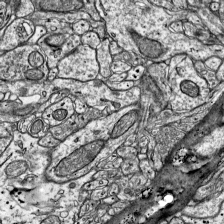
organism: Mouse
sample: Visual Cortex